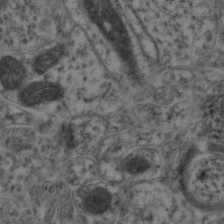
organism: Mouse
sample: Neocortex